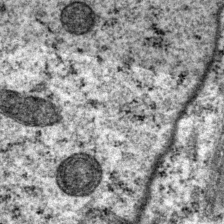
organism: P. pacificus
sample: Pharynx